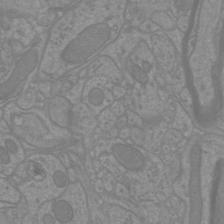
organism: Mouse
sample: Cortical neurons